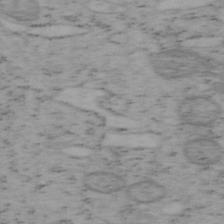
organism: Mouse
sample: OT-I killer T cells with ID8 ovarian cancer cells